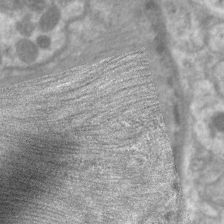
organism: C. elegans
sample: Pharynx